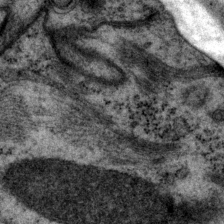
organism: P. pacificus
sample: Pharynx